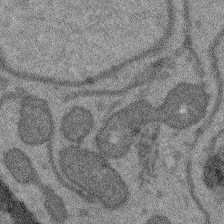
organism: Arabidopsis thaliana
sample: Root tip